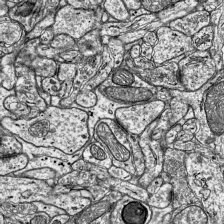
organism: Mouse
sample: Visual Cortex